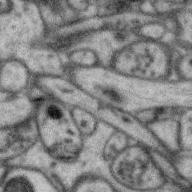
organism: Zebra finch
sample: Brain